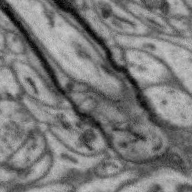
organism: Zebra finch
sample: Brain